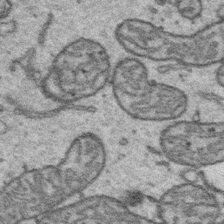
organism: Platynereis dumerilii